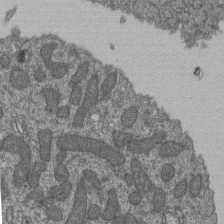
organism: Human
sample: Retinal organoid Rod and Cone cells